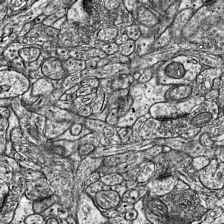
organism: Mouse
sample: Visual Cortex